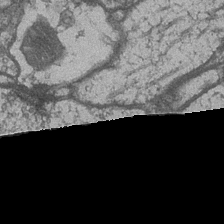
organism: Drosophila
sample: Optic medulla